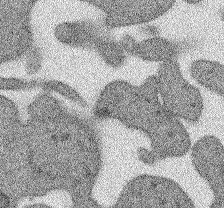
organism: Human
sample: HeLa cells